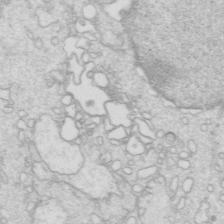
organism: Mouse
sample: Multiciliated cells